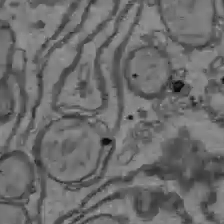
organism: C57BL Mouse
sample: Liver